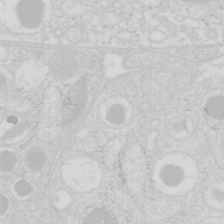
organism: Mouse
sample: Pancreas